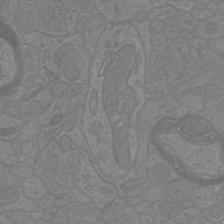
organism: Mouse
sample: Cortical neurons